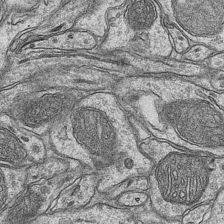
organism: Mouse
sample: CA1 Hippocampus